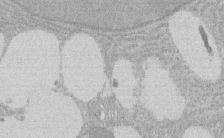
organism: Rat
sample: Salivary granule